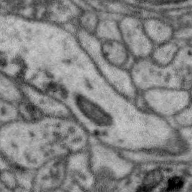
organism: Zebra finch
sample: Brain